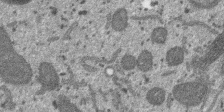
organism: Human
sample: Lung epithelial cells infected with SARS-CoV-2